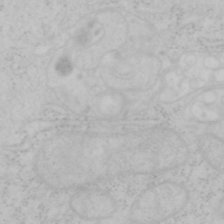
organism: Mouse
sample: OT-I killer T cells with ID8 ovarian cancer cells